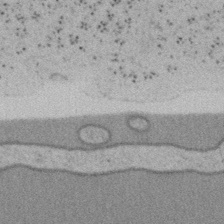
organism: Human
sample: HeLa cells